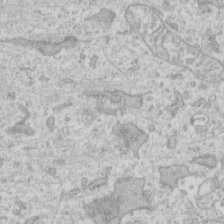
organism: Human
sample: Fibroblast cells